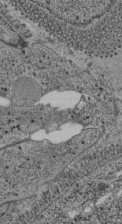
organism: C. elegans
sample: C. elegans pharynx